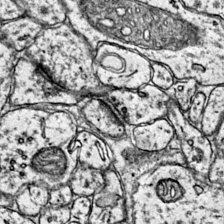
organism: Mouse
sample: Primary visual cortex